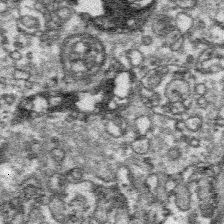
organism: Platynereis dumerilii